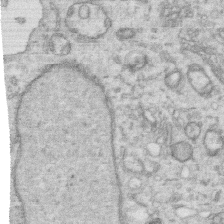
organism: Human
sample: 1205lu cells